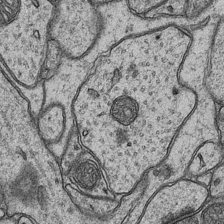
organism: Mouse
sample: CA1 Hippocampus